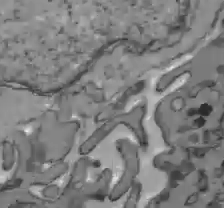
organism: C57BL Mouse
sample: Liver